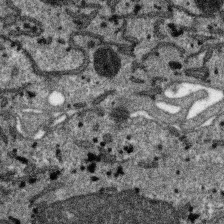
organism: Human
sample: Lung epithelial cells infected with SARS-CoV-2